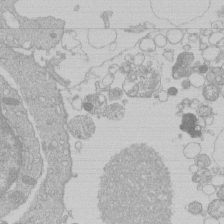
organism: Human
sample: Macrophage cells